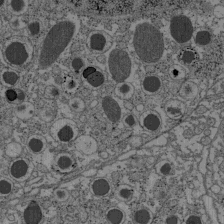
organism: C57BL Mouse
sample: Pancreatic islet